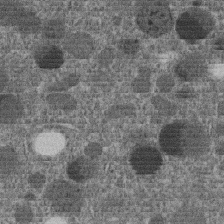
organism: C. elegans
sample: C. elegans embryo early stage